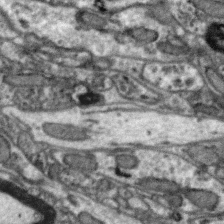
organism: Zebra finch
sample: Brain